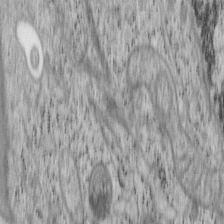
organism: Human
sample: HeLa cells